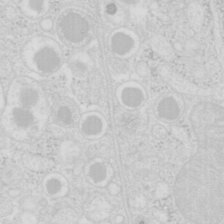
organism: Mouse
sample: Pancreas